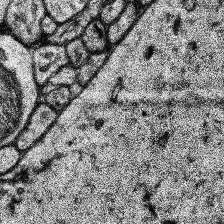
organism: Human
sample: Temporal Lobe